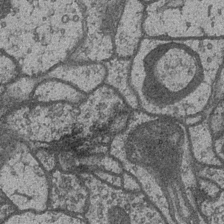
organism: Drosophila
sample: Optic medulla